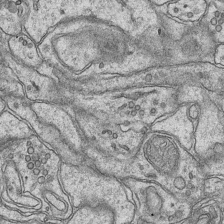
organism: Mouse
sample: CA1 Hippocampus